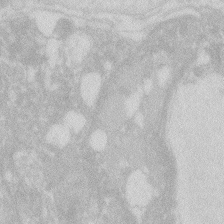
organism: Zebrafish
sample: Macrophage